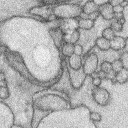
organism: Rabbit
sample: Retina